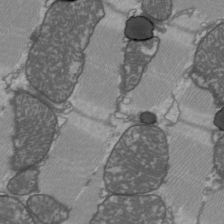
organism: C57BL Mouse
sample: Heart